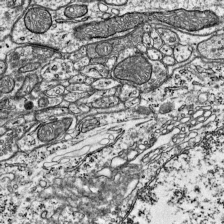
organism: Mouse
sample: Visual Cortex